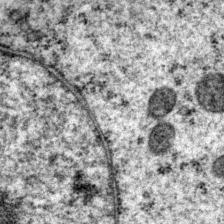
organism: P. pacificus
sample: Pharynx